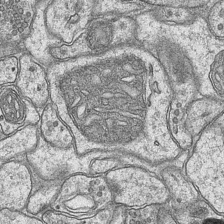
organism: Mouse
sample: CA1 Hippocampus